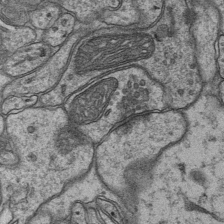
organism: Mouse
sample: CA1 Hippocampus